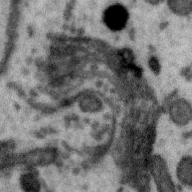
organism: Zebra finch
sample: Brain